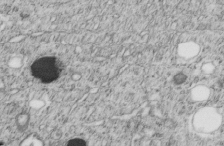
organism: C. elegans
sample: C. elegans embryo early stage